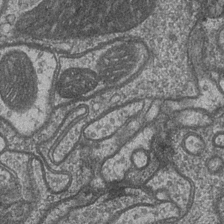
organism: Drosophila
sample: Optic medulla